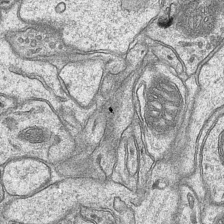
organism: Mouse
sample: CA1 Hippocampus